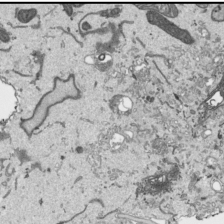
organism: Human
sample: Mitochondria in HCT116 cells